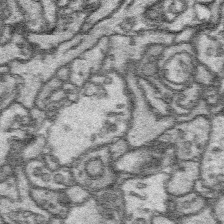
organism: Platynereis dumerilii